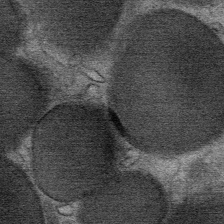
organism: Mouse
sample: Mouse Salivary gland